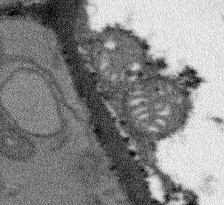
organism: Arabidopsis thaliana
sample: Root tip